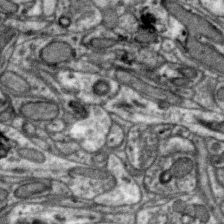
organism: Zebra finch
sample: Brain